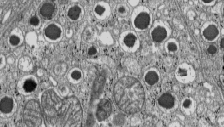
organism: C57BL Mouse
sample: Pancreatic islet